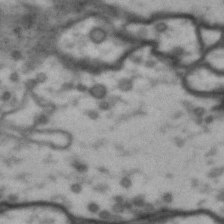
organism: Drosophila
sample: Brain